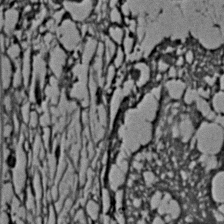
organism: C. elegans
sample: C. elegans embryo